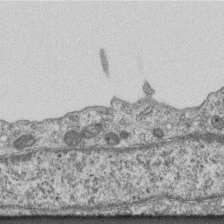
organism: Mouse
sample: Centriole in ependymal cells